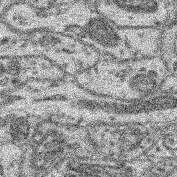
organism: Mouse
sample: Retina